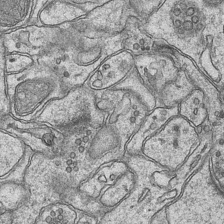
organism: Mouse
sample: CA1 Hippocampus